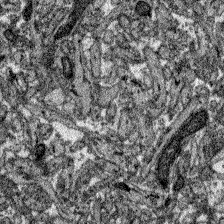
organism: Zebrafish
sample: Larval olfactory bulb